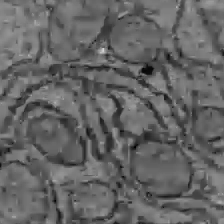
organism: C57BL Mouse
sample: Liver